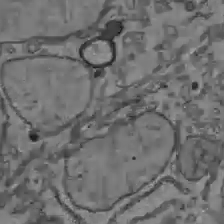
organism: C57BL Mouse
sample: Liver